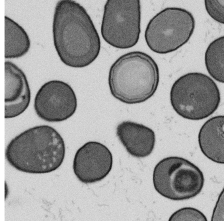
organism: B. subtilis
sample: Bacterial spore